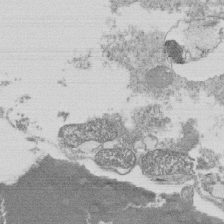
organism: Tetrahymena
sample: Cilia in tetrahymena